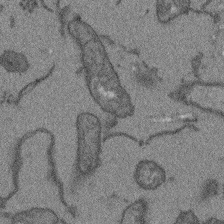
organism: Arabidopsis thaliana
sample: Root tip